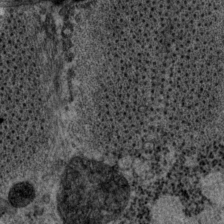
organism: P. pacificus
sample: Pharynx